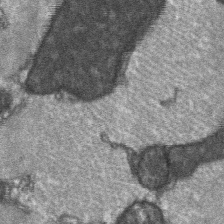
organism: C57BL Mouse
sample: Soleus